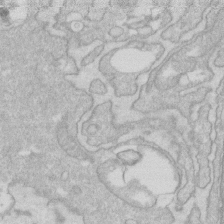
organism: Human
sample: Fibroblast cells